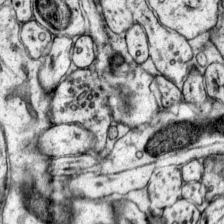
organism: Mouse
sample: Primary visual cortex